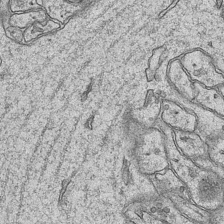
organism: Mouse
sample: CA1 Hippocampus